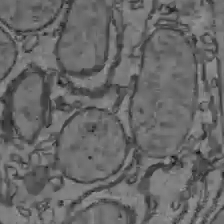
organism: C57BL Mouse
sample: Liver